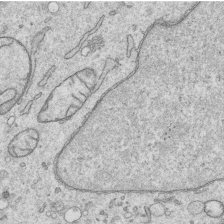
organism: Human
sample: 1205lu cells